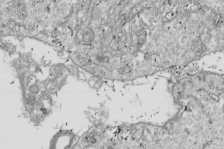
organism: Drosophila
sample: Cell division; meiosis; drosophila spermatocytes